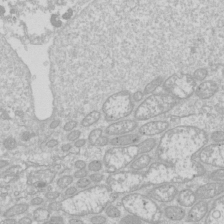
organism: Drosophila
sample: Cell division; meiosis; drosophila spermatocytes